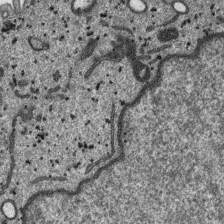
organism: Human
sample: Lung epithelial cells infected with SARS-CoV-2